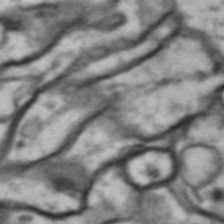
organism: Drosophila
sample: Brain